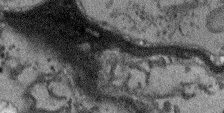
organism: Arabidopsis thaliana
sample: Root tip